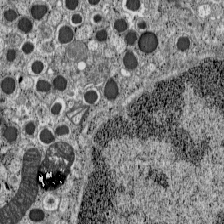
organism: C57BL Mouse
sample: Pancreatic islet